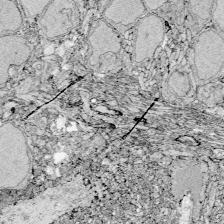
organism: Zebrafish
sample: Whole-Brain